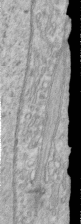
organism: Human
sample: Centriole in RPE cells